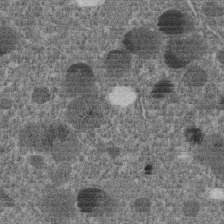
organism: C. elegans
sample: C. elegans embryo early stage